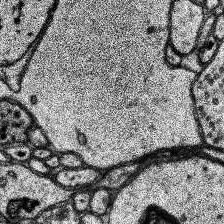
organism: Human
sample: Temporal Lobe